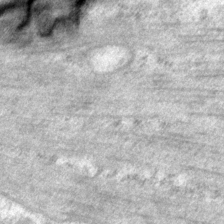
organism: P. pacificus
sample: Pharynx